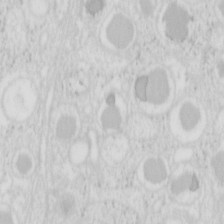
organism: Mouse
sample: Pancreas